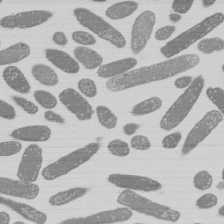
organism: E. coli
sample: Bacterial nucleoid